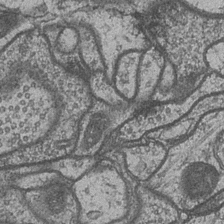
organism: Drosophila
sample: Optic medulla